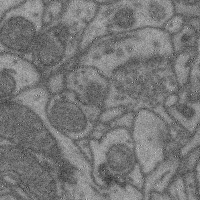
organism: Mouse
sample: Cerebral cortex